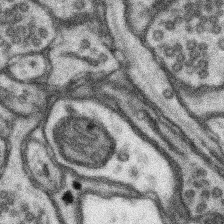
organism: Mouse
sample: Somatosensory cortex neuropil